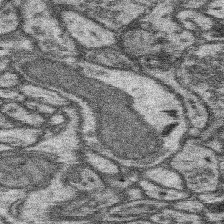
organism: Mouse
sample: Somatosensory cortex neuropil